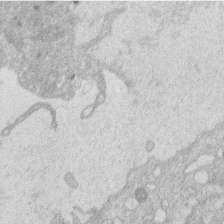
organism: Human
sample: Macrophage cells